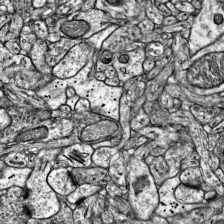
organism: Mouse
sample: Visual Cortex